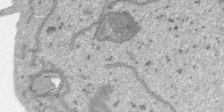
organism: Human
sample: Lung epithelial cells infected with SARS-CoV-2